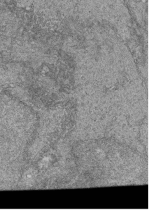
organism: Human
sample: Retinal organoid Rod and Cone cells